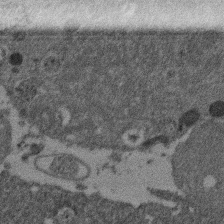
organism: Mouse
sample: Dividing mouse embryo 1 cell stage